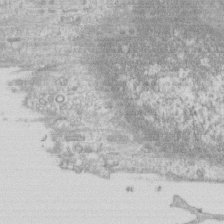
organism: Human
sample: CRL-1474